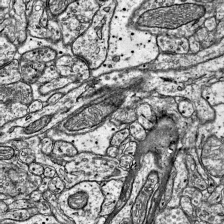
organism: Mouse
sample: Visual Cortex